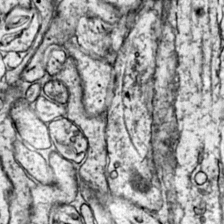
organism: Mouse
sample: Primary visual cortex